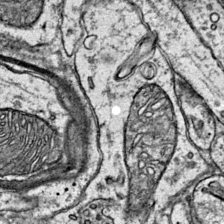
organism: Mouse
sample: Primary visual cortex